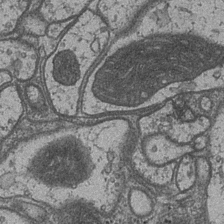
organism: Drosophila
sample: Optic medulla